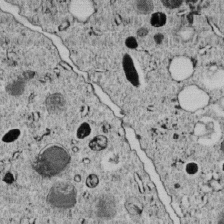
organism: C. elegans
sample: C. elegans embryo early stage